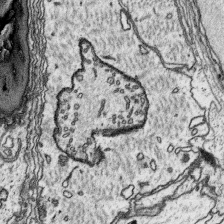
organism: Platynereis dumerilii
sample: Parapodia